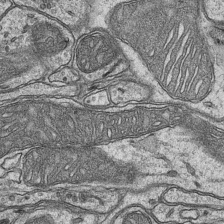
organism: Mouse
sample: CA1 Hippocampus